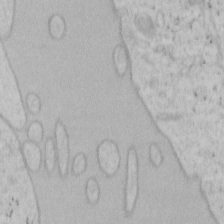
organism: Human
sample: HeLa cells